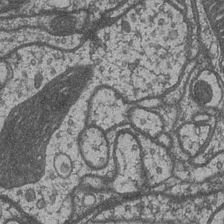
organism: Drosophila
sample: Optic medulla